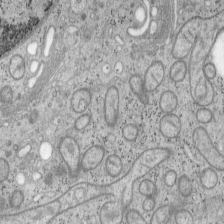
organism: Mouse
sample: OT-I killer T cells with ID8 ovarian cancer cells